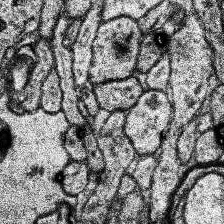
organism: Human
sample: Temporal Lobe